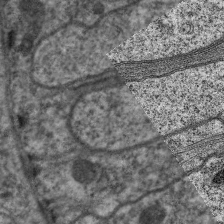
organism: C. elegans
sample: Pharynx